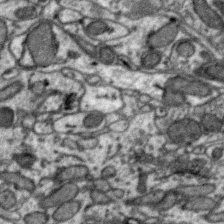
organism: Zebra finch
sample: Brain